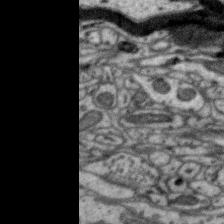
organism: Zebra finch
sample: Brain